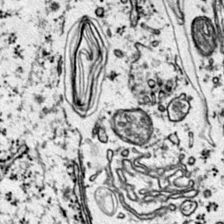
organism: Mouse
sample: Primary visual cortex